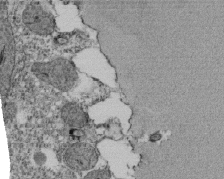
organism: Tetrahymena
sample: Cilia in tetrahymena